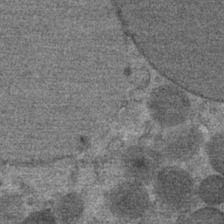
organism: Mouse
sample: Mouse Salivary gland